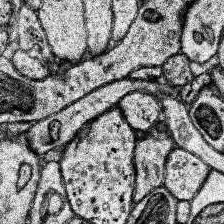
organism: Human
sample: Temporal Lobe